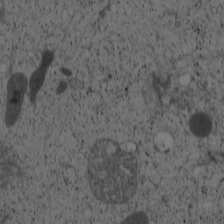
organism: African green monkey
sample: COS-7 cells